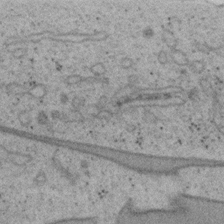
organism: Human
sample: HeLa cells